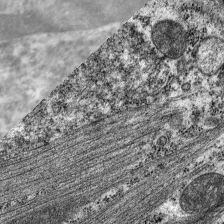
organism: C. elegans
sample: Pharynx